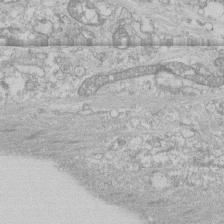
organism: Human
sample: CRL-1474